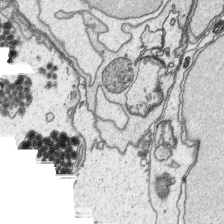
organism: Platynereis dumerilii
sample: Parapodia